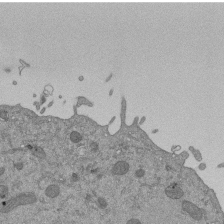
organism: Mouse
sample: ED-1 cell nuclei; centrioles